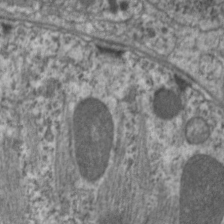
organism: C. elegans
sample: Pharynx